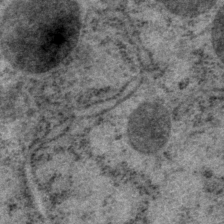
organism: P. pacificus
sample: Pharynx